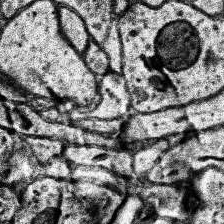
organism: Human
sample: Temporal Lobe